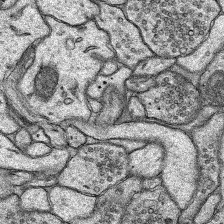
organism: Rat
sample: Hippocampus